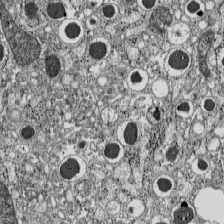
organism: C57BL Mouse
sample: Pancreatic islet